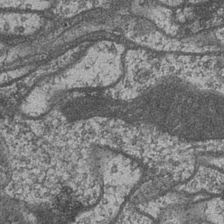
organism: Drosophila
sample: Optic medulla